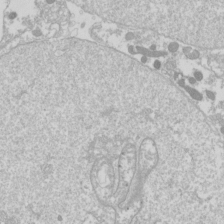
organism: Drosophila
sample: Cell division; meiosis; drosophila spermatocytes